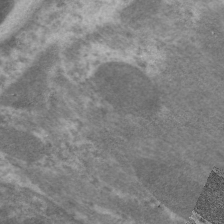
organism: C. elegans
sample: Pharynx